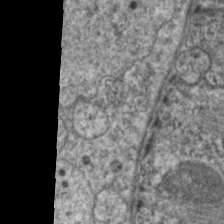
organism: C. elegans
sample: Pharynx